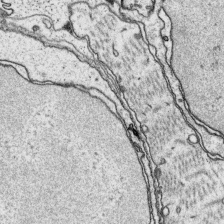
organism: Platynereis dumerilii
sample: Parapodia